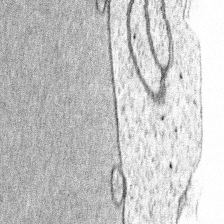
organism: Human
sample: HeLa cells